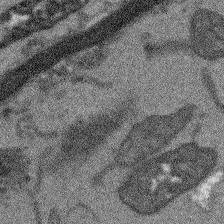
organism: Arabidopsis thaliana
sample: Root tip